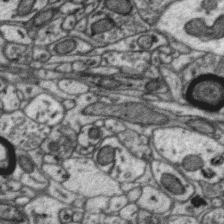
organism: Zebra finch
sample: Brain